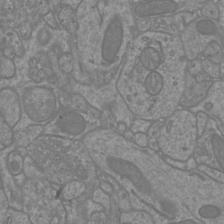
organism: Mouse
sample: Cortical neurons